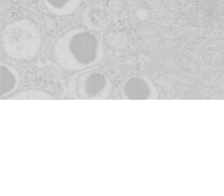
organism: Mouse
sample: Pancreas